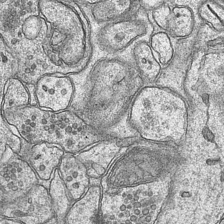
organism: Mouse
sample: CA1 Hippocampus